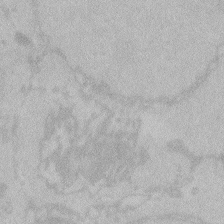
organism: Zebrafish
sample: Macrophage infected with Toxoplasma gondii